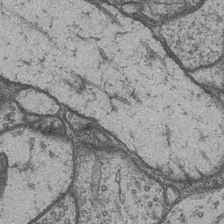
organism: Drosophila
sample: Optic medulla